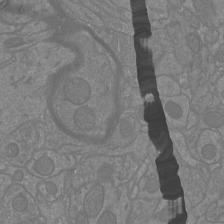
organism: Mouse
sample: Cortical neurons